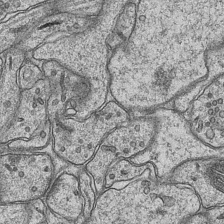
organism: Mouse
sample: CA1 Hippocampus